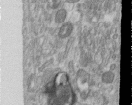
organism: Human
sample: Centriole in RPE cells